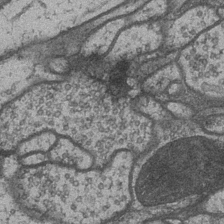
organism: Drosophila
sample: Optic medulla